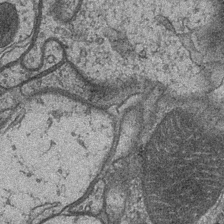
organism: Drosophila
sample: Optic medulla